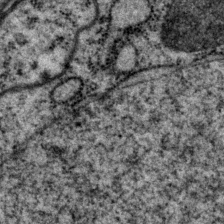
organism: P. pacificus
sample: Pharynx